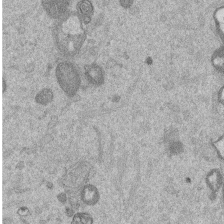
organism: Mouse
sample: Dividing mouse embryo 1 cell stage